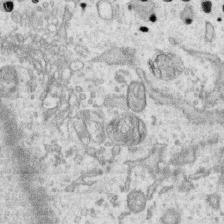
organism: Human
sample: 1205lu cells